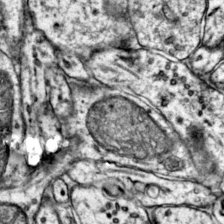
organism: Mouse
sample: Primary visual cortex